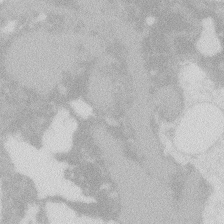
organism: Zebrafish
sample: Macrophage